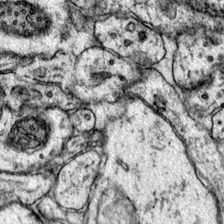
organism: Mouse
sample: Primary visual cortex